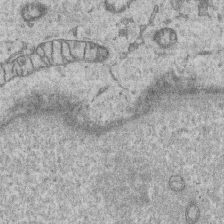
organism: Human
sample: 1205lu cells